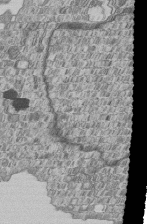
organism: Human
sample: MDA-MB-231 cells